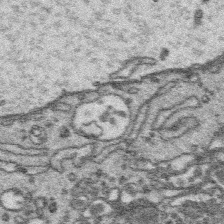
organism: Platynereis dumerilii